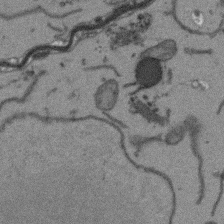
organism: Arabidopsis thaliana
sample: Root tip